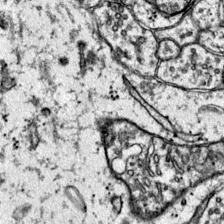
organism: Mouse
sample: Primary visual cortex